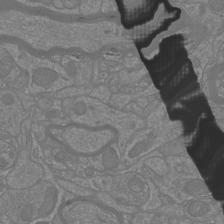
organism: Mouse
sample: Cortical neurons